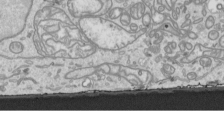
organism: Human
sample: Mitochondria in HCT116 cells